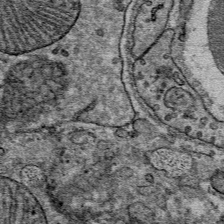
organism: Mouse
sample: Mouse Salivary gland